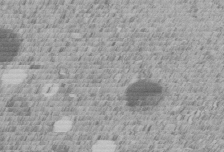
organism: C. elegans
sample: C. elegans embryo early stage